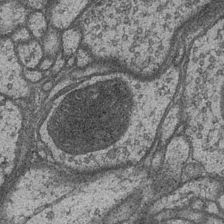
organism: Drosophila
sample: Optic medulla